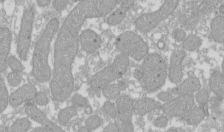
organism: Xenopus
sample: Cilia; centrioles in frog embryo cells